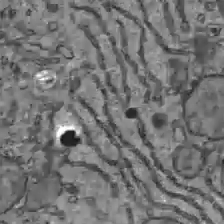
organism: C57BL Mouse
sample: Liver